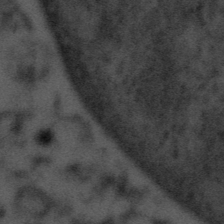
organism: Tuwongella immobilis